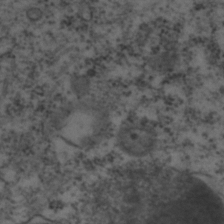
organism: C. elegans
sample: C. elegans embryo